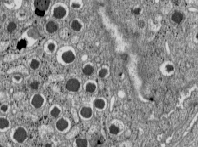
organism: C57BL Mouse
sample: Pancreatic islet